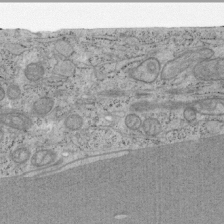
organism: Human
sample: HeLa cells